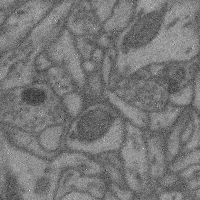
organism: Mouse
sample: Cerebral cortex